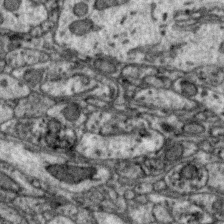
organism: Zebra finch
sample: Brain